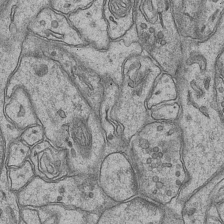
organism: Mouse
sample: CA1 Hippocampus